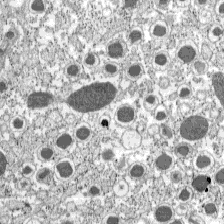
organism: C57BL Mouse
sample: Pancreatic islet